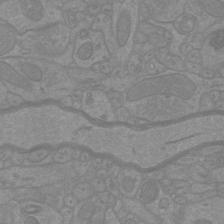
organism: Mouse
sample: Cortical neurons